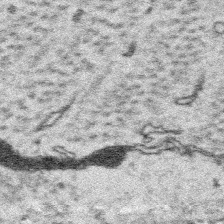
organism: Platynereis dumerilii